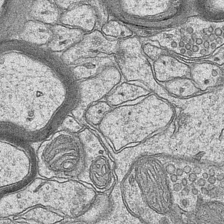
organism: Mouse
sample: CA1 Hippocampus